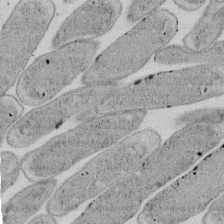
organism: E. coli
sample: Bacterial nucleoid